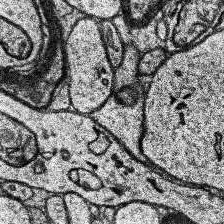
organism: Human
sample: Temporal Lobe